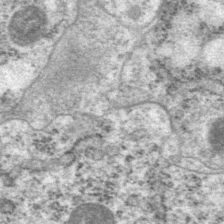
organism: P. pacificus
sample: Pharynx